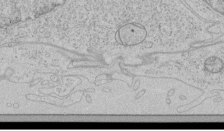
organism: Human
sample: Mitochondria in HCT116 cells